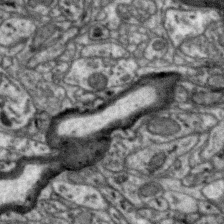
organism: Zebra finch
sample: Brain